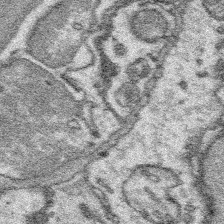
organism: Platynereis dumerilii